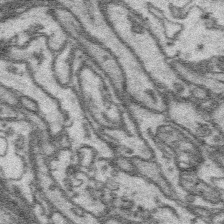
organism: Platynereis dumerilii